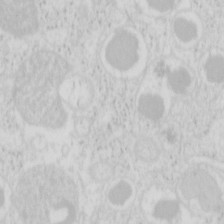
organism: Mouse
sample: Pancreas